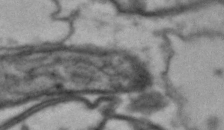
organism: Drosophila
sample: Brain